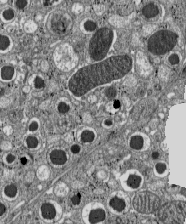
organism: C57BL Mouse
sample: Pancreatic islet